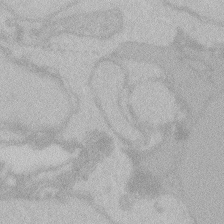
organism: Zebrafish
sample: Macrophage infected with Toxoplasma gondii